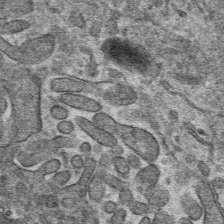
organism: Mouse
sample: Mouse hepatocytes